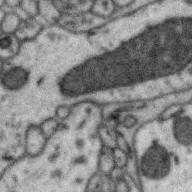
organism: Zebra finch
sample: Brain